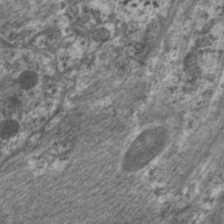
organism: C. elegans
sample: Pharynx